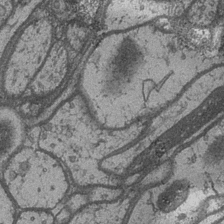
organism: Drosophila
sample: Optic medulla